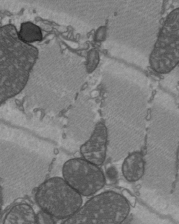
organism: C57BL Mouse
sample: Heart